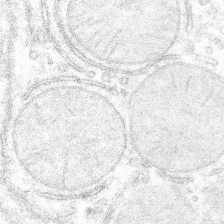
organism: Mouse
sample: Mouse hepatocytes